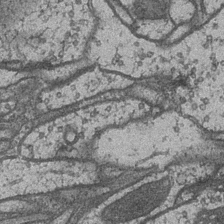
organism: Drosophila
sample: Optic medulla